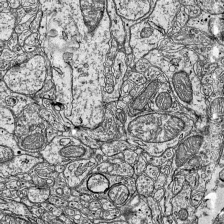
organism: Mouse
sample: Visual Cortex